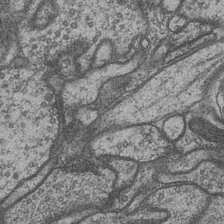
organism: Drosophila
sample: Optic medulla